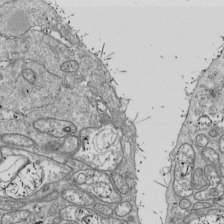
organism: Drosophila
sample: Cell division; meiosis; drosophila spermatocytes